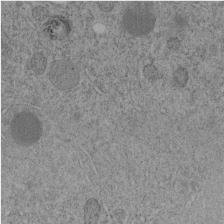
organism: C. elegans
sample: C. elegans embryo early stage